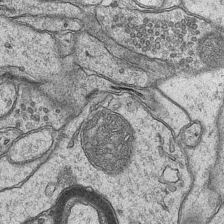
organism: Mouse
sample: CA1 Hippocampus